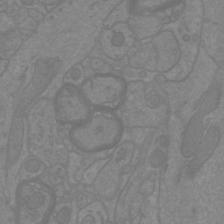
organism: Mouse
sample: Cortical neurons